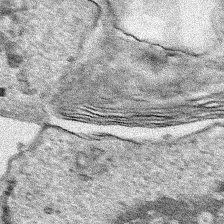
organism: Human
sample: Mitochondria in HCT116 cells